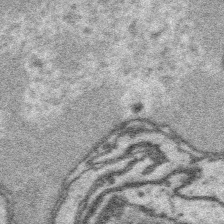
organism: Platynereis dumerilii